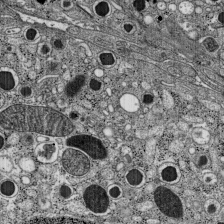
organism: C57BL Mouse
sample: Pancreatic islet